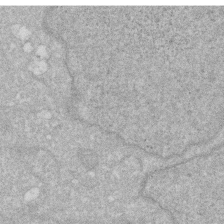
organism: Human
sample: HIV infected U937 cells